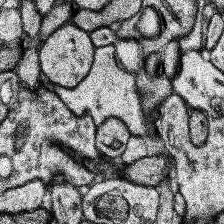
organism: Human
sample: Temporal Lobe